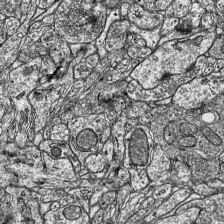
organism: Mouse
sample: Visual Cortex